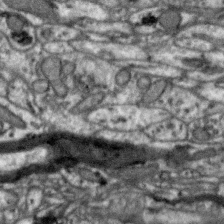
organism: Zebra finch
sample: Brain